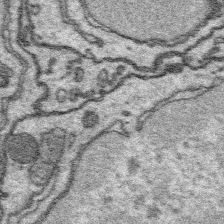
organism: Platynereis dumerilii